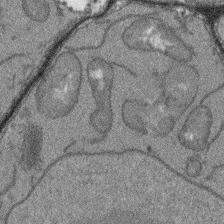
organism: Arabidopsis thaliana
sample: Root tip